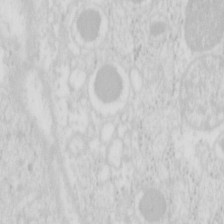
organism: Mouse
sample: Pancreas